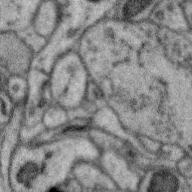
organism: Zebra finch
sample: Brain